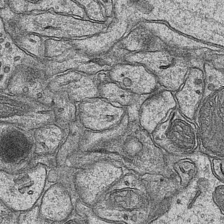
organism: Mouse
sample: CA1 Hippocampus